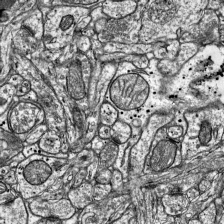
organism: Mouse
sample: Visual Cortex